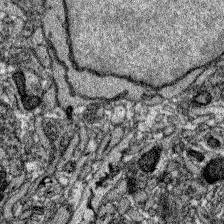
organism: Zebrafish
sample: Larval olfactory bulb